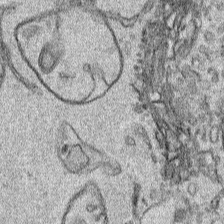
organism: Human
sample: Mitochondria in HCT116 cells